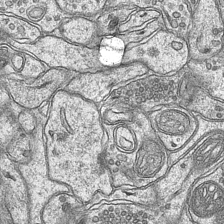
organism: Mouse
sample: CA1 Hippocampus